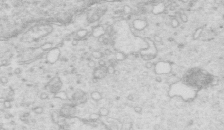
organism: Mouse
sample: Multiciliated cells